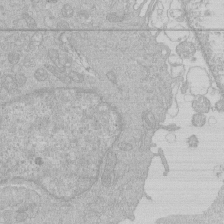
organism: Human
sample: Macrophage cells